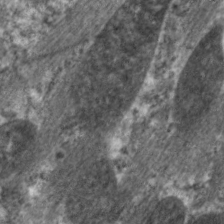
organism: C. elegans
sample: Pharynx